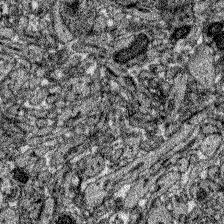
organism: Zebrafish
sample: Larval olfactory bulb